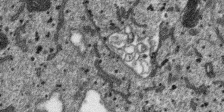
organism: Human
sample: Lung epithelial cells infected with SARS-CoV-2